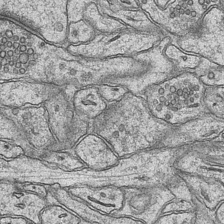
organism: Mouse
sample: CA1 Hippocampus